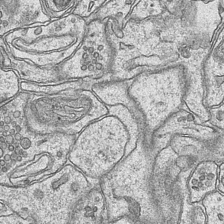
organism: Mouse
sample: CA1 Hippocampus